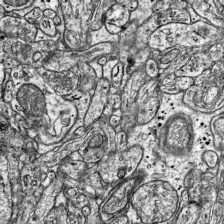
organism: Mouse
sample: Visual Cortex